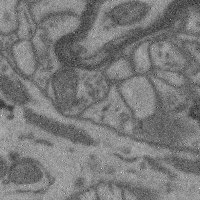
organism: Mouse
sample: Cerebral cortex